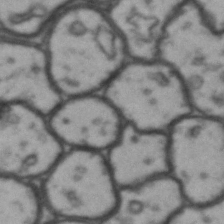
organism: Drosophila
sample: Brain